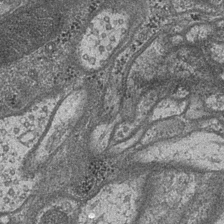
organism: Drosophila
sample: Optic medulla